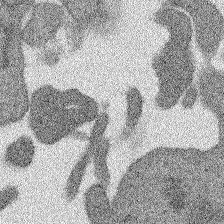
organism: Human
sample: HeLa cells